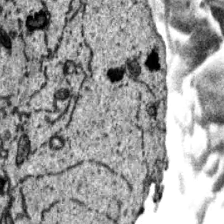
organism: Human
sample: HeLa cells